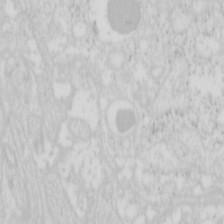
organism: Mouse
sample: Pancreas